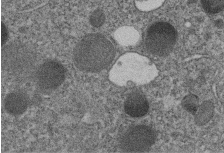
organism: C. elegans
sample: C. elegans embryo early stage